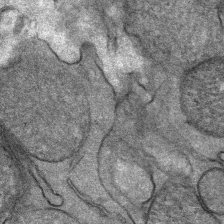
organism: Mouse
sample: Mouse Salivary gland